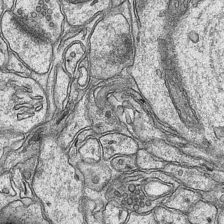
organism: Mouse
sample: CA1 Hippocampus